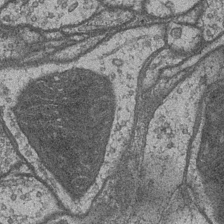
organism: Drosophila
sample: Optic medulla